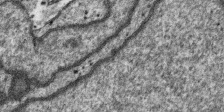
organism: Human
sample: Lung epithelial cells infected with SARS-CoV-2